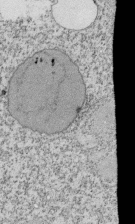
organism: Tetrahymena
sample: Cilia in tetrahymena